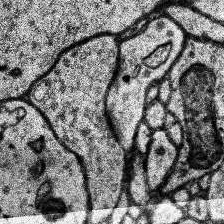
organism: Human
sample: Temporal Lobe